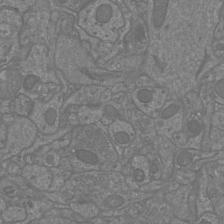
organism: Mouse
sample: Cortical neurons